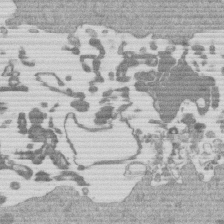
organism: Mouse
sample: Dividing mouse embryo 1 cell stage